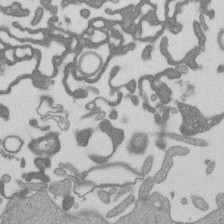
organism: Mouse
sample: Dividing mouse embryo 1 cell stage